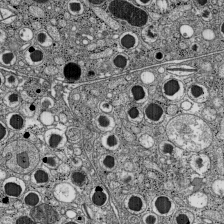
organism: C57BL Mouse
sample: Pancreatic islet